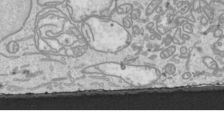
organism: Human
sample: Mitochondria in HCT116 cells